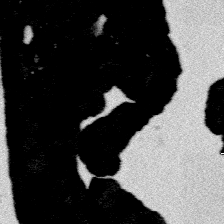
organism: Platynereis dumerilii